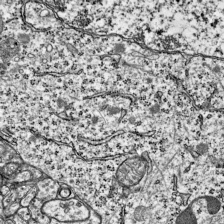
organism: Mouse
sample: Visual Cortex